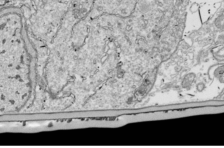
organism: Drosophila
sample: Cell division; meiosis; drosophila spermatocytes